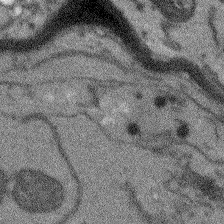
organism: Arabidopsis thaliana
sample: Root tip